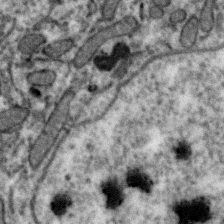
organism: Zebra finch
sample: Brain